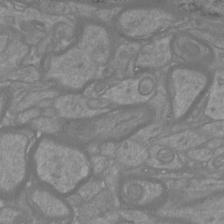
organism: Mouse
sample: Cortical neurons